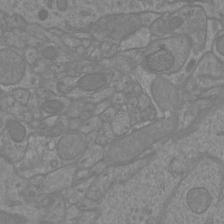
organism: Mouse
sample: Cortical neurons